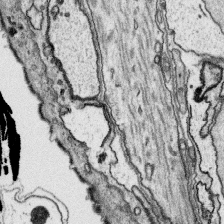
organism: Platynereis dumerilii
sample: Parapodia